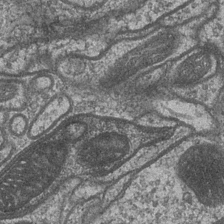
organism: Drosophila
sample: Optic medulla